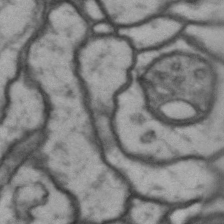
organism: Drosophila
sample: Brain